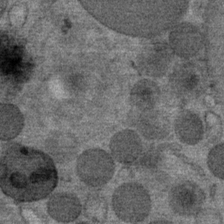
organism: Mouse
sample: Mouse Salivary gland